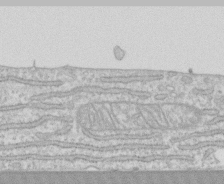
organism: Human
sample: CRL-1474